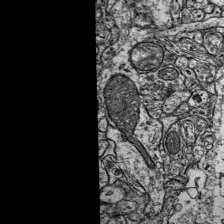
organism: Mouse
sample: Visual Cortex